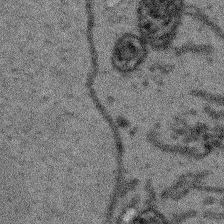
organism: Arabidopsis thaliana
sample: Root tip